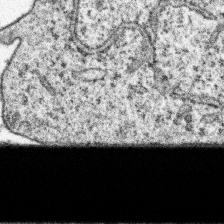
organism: Human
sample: HeLa cells